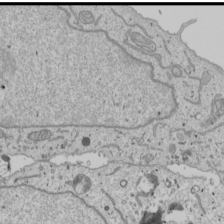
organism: Human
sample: Mitochondria in U2OS cells